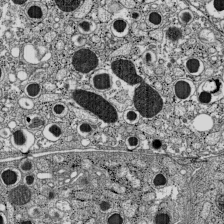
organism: C57BL Mouse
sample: Pancreatic islet